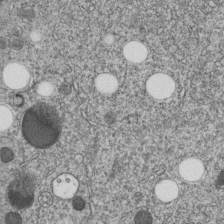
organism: C. elegans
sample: C. elegans embryo early stage